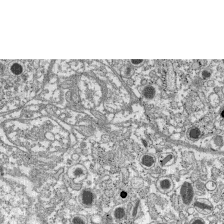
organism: C57BL Mouse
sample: Pancreatic islet